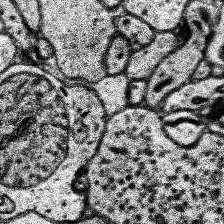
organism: Human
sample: Temporal Lobe